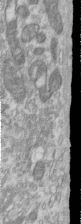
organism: Human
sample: Centriole in RPE cells